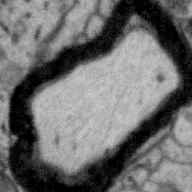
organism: Zebra finch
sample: Brain